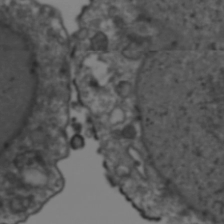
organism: Human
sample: HIV-1 Gag-iGFP